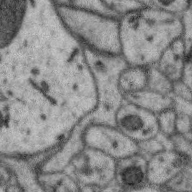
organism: Zebra finch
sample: Brain